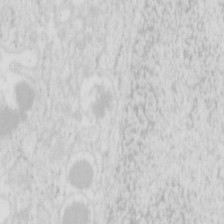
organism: Mouse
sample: Pancreas